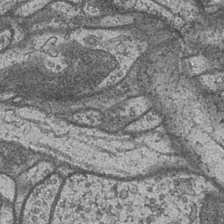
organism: Drosophila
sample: Optic medulla